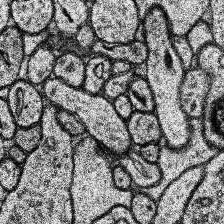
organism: Human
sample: Temporal Lobe